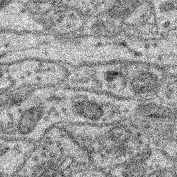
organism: Mouse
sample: Retina